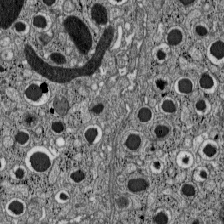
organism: C57BL Mouse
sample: Pancreatic islet